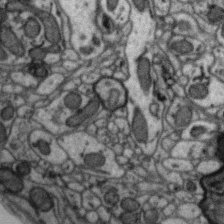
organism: Zebra finch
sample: Brain